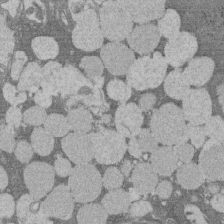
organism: Rat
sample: Salivary granule